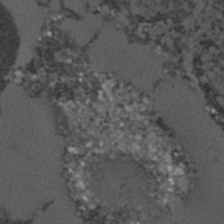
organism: C. elegans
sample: C. elegans embryo